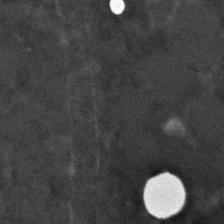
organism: C. elegans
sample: C. elegans embryo